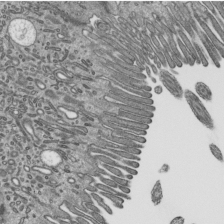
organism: Mouse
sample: Mouse epididymis efferent ductule cilia